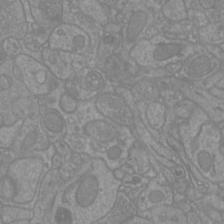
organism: Mouse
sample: Cortical neurons